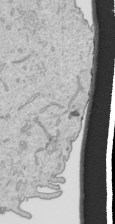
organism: Human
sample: Mitochondria in HCT116 cells